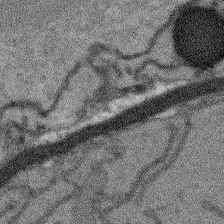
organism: Arabidopsis thaliana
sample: Root tip